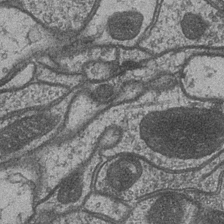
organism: Drosophila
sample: Optic medulla